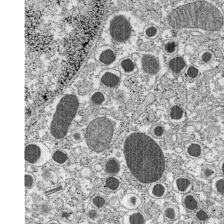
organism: C57BL Mouse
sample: Pancreatic islet